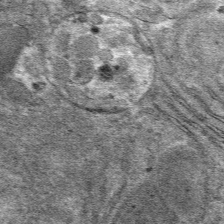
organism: Mouse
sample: Mouse hepatocytes